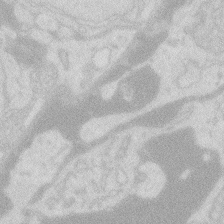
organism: Zebrafish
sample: Macrophage